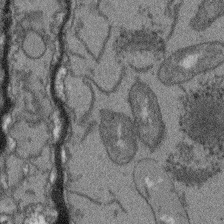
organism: Arabidopsis thaliana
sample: Root tip